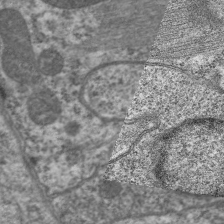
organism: C. elegans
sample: Pharynx